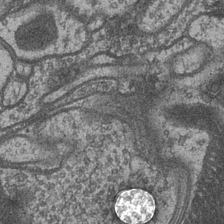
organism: Drosophila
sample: Optic medulla